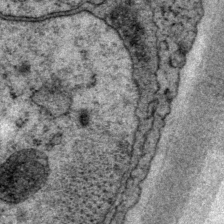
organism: P. pacificus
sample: Pharynx